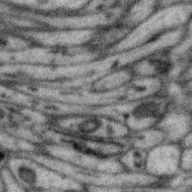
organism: Zebra finch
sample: Brain